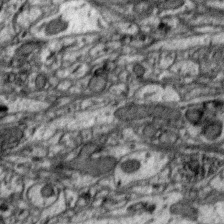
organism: Zebra finch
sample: Brain